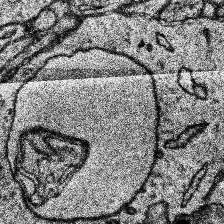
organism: Human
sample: Temporal Lobe